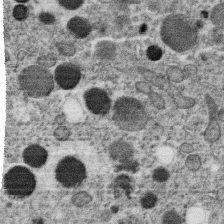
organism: C. elegans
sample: C. elegans oocyte; sperm cells